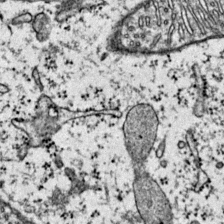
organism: Mouse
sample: Primary visual cortex